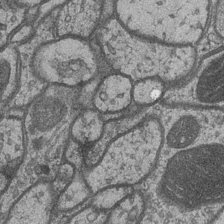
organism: Drosophila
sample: Optic medulla